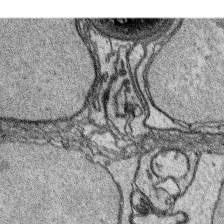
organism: Platynereis dumerilii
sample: Parapodia